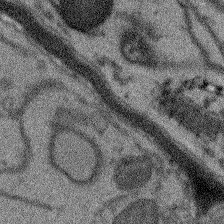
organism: Arabidopsis thaliana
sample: Root tip